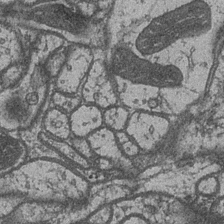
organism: Drosophila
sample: Optic medulla